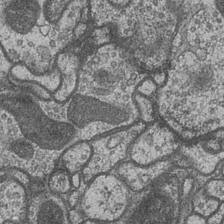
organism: Drosophila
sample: Optic medulla